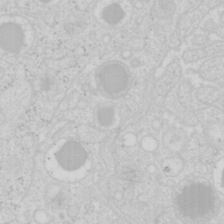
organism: Mouse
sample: Pancreas